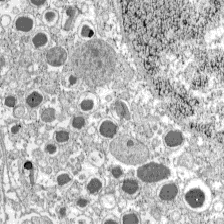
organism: C57BL Mouse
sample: Pancreatic islet